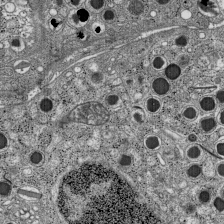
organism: C57BL Mouse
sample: Pancreatic islet